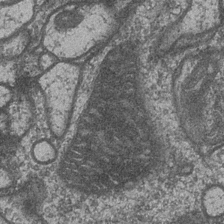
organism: Drosophila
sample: Optic medulla